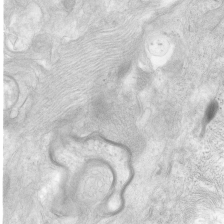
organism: Human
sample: Neocortex